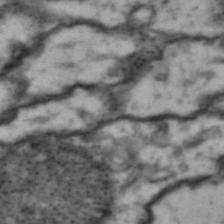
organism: Drosophila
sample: Brain